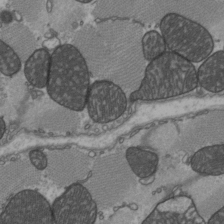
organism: C57BL Mouse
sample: Heart